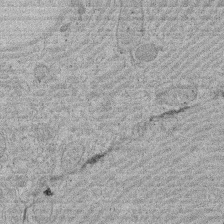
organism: Rat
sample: Salivary granule